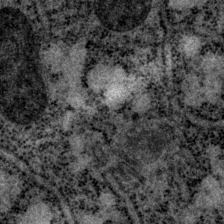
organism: P. pacificus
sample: Pharynx